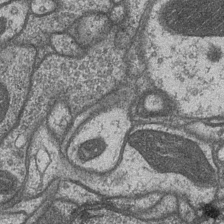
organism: Drosophila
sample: Optic medulla